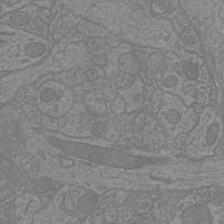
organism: Mouse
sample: Cortical neurons